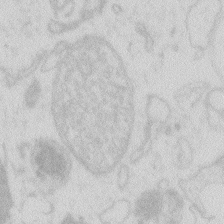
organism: Zebrafish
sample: Macrophage